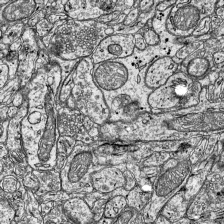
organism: Mouse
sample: Visual Cortex